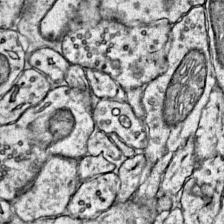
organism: Mouse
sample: Primary visual cortex